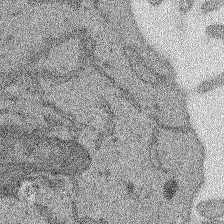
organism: Human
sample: HeLa cells